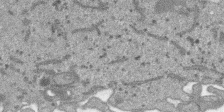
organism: Human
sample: Lung epithelial cells infected with SARS-CoV-2